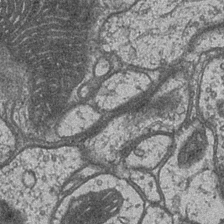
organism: Drosophila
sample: Optic medulla